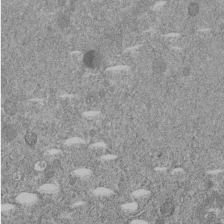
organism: C. elegans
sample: C. elegans embryo early stage